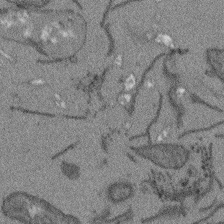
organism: Arabidopsis thaliana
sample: Root tip